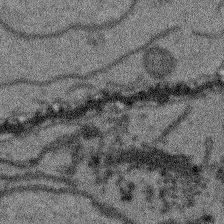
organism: Arabidopsis thaliana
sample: Root tip